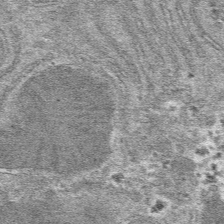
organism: Mouse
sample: Mouse hepatocytes